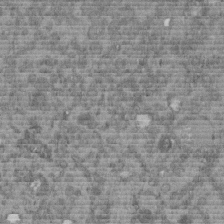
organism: C. elegans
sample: C. elegans embryo early stage